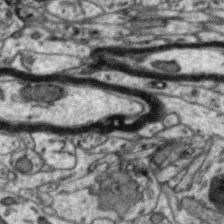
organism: Zebra finch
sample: Brain